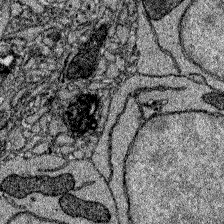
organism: Zebrafish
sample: Larval olfactory bulb